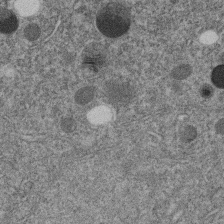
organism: C. elegans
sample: C. elegans embryo early stage